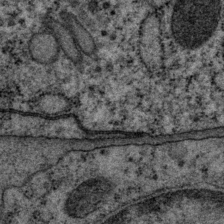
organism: P. pacificus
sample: Pharynx